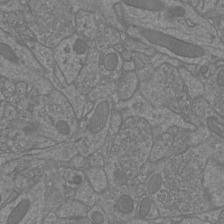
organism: Mouse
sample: Cortical neurons